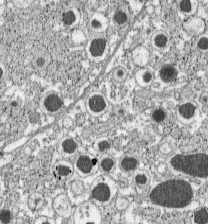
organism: C57BL Mouse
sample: Pancreatic islet